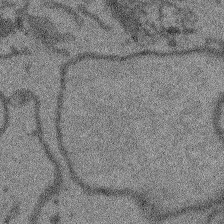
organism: Arabidopsis thaliana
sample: Root tip